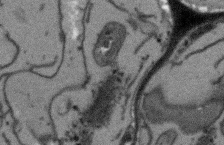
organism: Arabidopsis thaliana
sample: Root tip